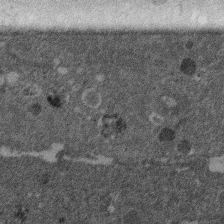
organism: Mouse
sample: Dividing mouse embryo 1 cell stage